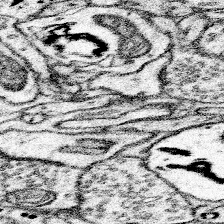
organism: Mouse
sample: Somatosensory cortex neuropil